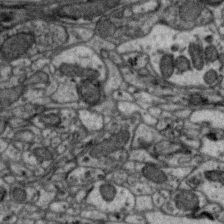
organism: Zebra finch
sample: Brain